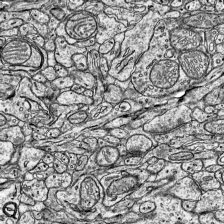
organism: Mouse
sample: Visual Cortex